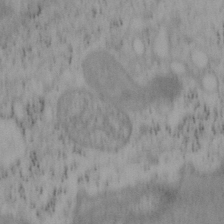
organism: Mouse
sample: OT-I killer T cells with ID8 ovarian cancer cells